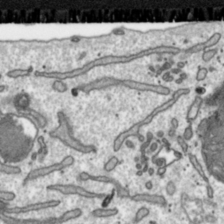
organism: Toxoplasma gondii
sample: Parasites in a vacuole inside a host cell